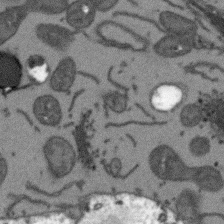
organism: Arabidopsis thaliana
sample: Root tip